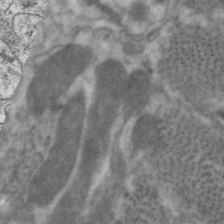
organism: C. elegans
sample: Pharynx